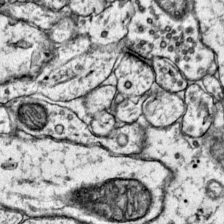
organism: Mouse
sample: Primary visual cortex